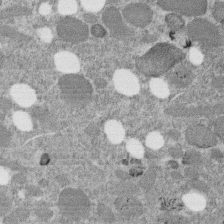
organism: C. elegans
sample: C. elegans embryo early stage